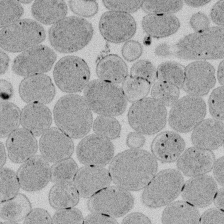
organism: E. coli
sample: Bacterial nucleoid